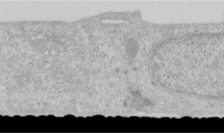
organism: Human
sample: Centriole in RPE cells